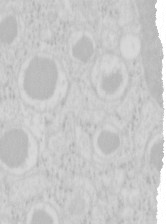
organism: Mouse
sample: Pancreas